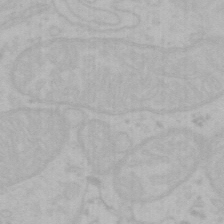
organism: Mouse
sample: Choroid plexus